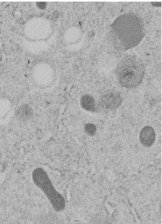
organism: C. elegans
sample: C. elegans embryo early stage